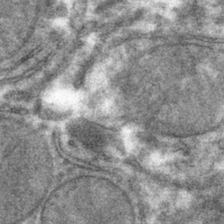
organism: Mouse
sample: Mouse hepatocytes